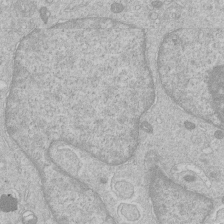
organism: Human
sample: Macrophage cells